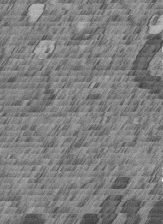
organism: C. elegans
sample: C. elegans embryo early stage